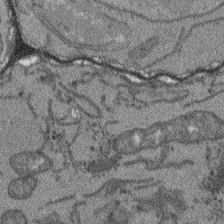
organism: Arabidopsis thaliana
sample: Root tip